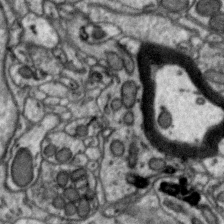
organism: Zebra finch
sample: Brain